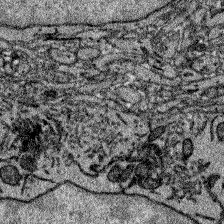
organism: Zebrafish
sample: Larval olfactory bulb